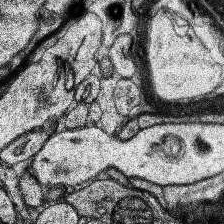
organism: Human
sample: Temporal Lobe